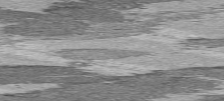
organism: C57BL Mouse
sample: Heart